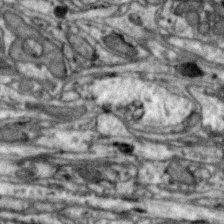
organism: Zebra finch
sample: Brain